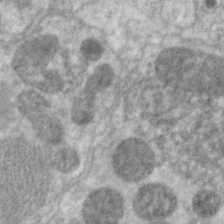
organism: C. elegans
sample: Pharynx